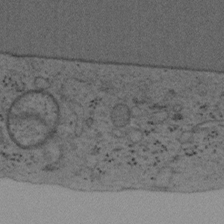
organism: Human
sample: HeLa cells